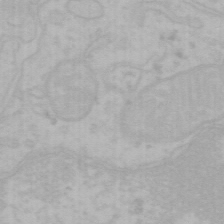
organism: Mouse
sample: Choroid plexus